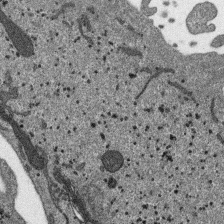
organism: Human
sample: Lung epithelial cells infected with SARS-CoV-2